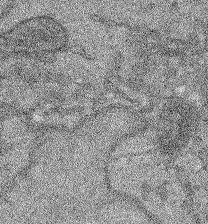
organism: Human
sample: HeLa cells